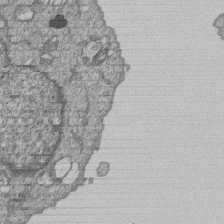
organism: Human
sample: MDA-MB-231 cells